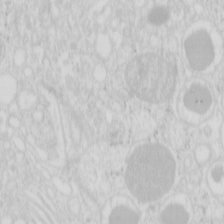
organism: Mouse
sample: Pancreas